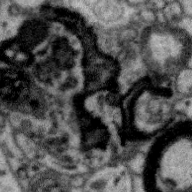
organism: Zebra finch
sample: Brain